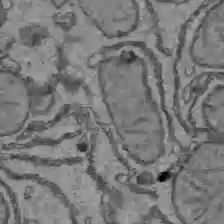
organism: C57BL Mouse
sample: Liver